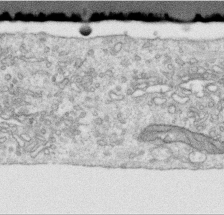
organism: Human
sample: Centriole in RPE cells